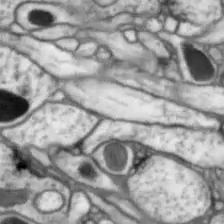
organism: Drosophila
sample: Optic lobe